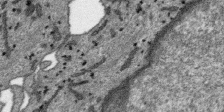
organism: Human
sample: Lung epithelial cells, uninfected (mock) control